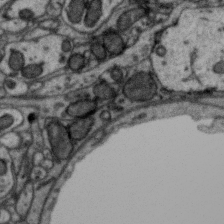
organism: Zebra finch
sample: Brain